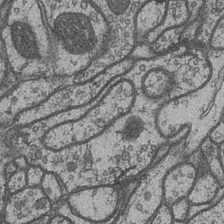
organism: Drosophila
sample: Optic medulla